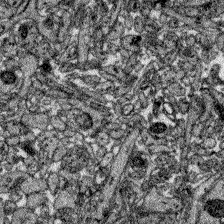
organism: Zebrafish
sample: Larval olfactory bulb